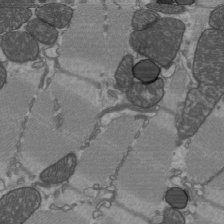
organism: C57BL Mouse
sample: Heart